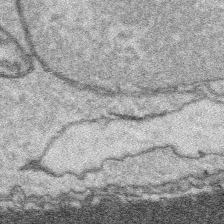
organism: Platynereis dumerilii